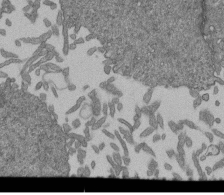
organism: Human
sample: Retinal organoid Rod and Cone cells